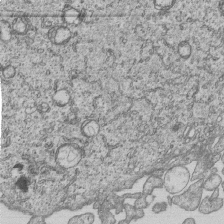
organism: Human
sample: MDA-MB-231 cells